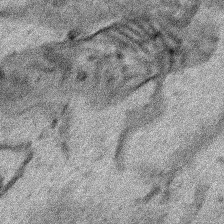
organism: Human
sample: Mitochondria in HCT116 cells